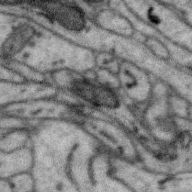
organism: Zebra finch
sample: Brain